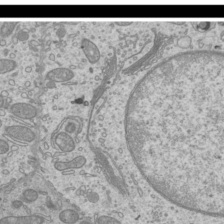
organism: Mouse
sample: Cilia; mouse epididymis